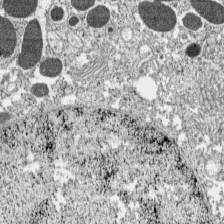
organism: C57BL Mouse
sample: Pancreatic islet